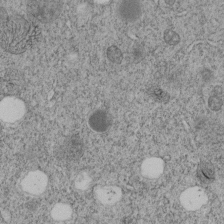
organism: C. elegans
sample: C. elegans embryo early stage